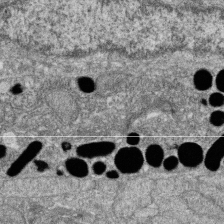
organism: Zebrafish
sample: Cilia; retinal pigment epithelium